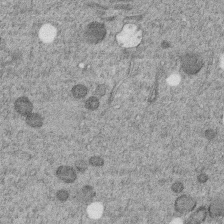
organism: C. elegans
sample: C. elegans embryo early stage